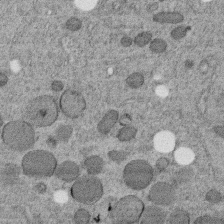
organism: C. elegans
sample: C. elegans embryo early stage